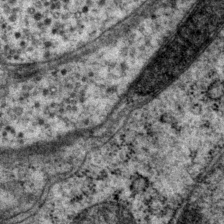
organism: P. pacificus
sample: Pharynx